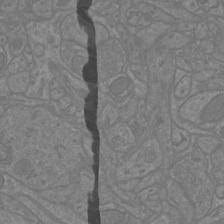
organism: Mouse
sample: Cortical neurons